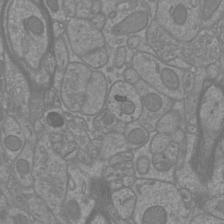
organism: Mouse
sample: Cortical neurons